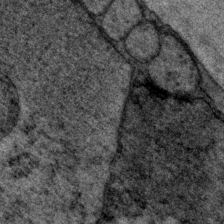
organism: P. pacificus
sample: Pharynx